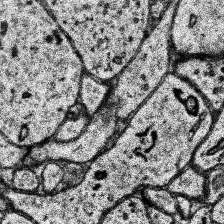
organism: Human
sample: Temporal Lobe